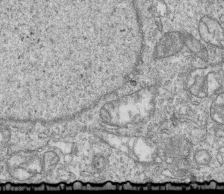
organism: Human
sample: HeLa cell HIV synapse